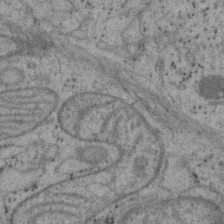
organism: Human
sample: HeLa cells